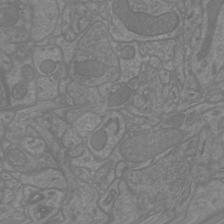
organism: Mouse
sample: Cortical neurons